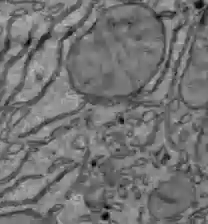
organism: C57BL Mouse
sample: Liver